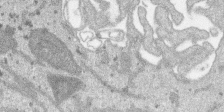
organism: Human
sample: Lung epithelial cells infected with SARS-CoV-2